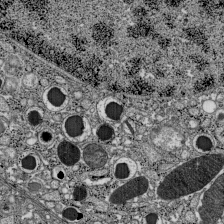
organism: C57BL Mouse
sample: Pancreatic islet